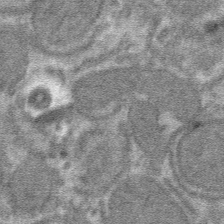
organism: Mouse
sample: Mouse hepatocytes